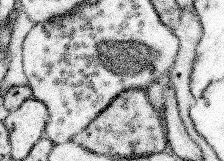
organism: Mouse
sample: Somatosensory cortex neuropil